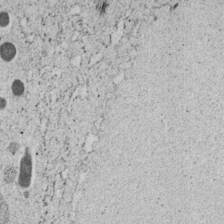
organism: C. elegans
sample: C. elegans embryo early stage